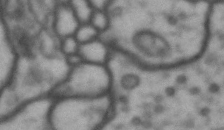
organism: Drosophila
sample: Brain